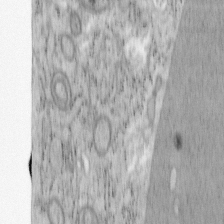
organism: Human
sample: HeLa cells